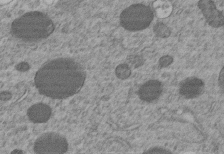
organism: C. elegans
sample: C. elegans embryo early stage